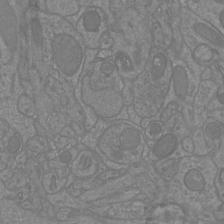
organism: Mouse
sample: Cortical neurons